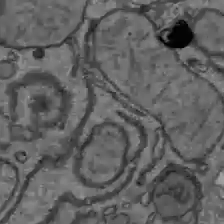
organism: C57BL Mouse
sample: Liver